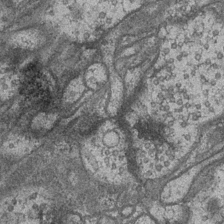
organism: Drosophila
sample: Optic medulla